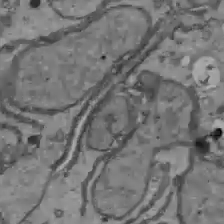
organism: C57BL Mouse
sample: Liver